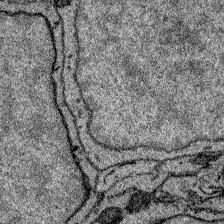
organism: Zebrafish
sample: Larval olfactory bulb